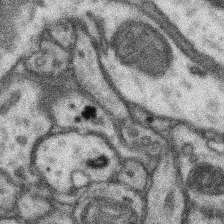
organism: Mouse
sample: Somatosensory cortex neuropil